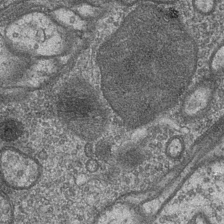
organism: Drosophila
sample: Optic medulla